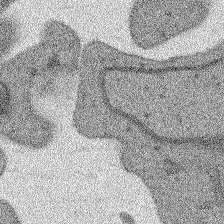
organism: Human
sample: HeLa cells